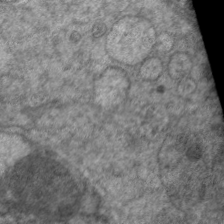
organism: C. elegans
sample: Pharynx